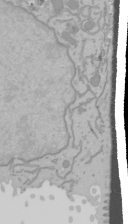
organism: Mouse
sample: Cancer cell death in ED-1 cells